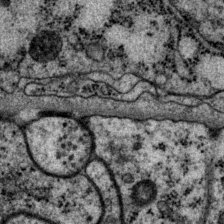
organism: P. pacificus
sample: Pharynx